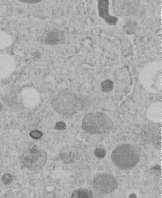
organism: C. elegans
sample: C. elegans embryo early stage